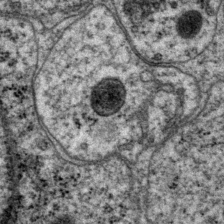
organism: P. pacificus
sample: Pharynx